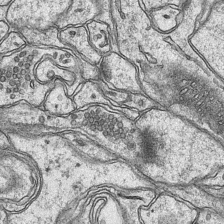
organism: Mouse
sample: CA1 Hippocampus